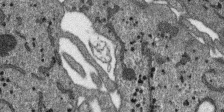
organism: Human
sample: Lung epithelial cells infected with SARS-CoV-2